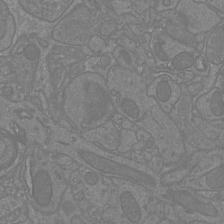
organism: Mouse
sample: Cortical neurons